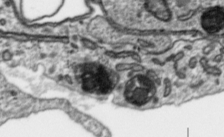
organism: Toxoplasma gondii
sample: Parasites in a vacuole inside a host cell